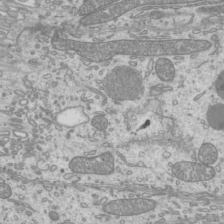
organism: Mouse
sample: Cilia; mouse epididymis